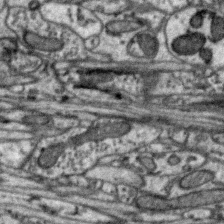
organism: Zebra finch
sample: Brain